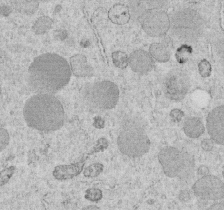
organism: C. elegans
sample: C. elegans embryo early stage